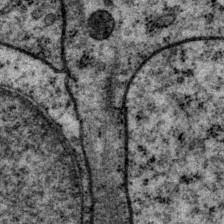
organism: P. pacificus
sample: Pharynx